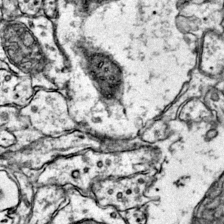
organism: Mouse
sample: Primary visual cortex